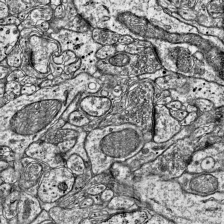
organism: Mouse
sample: Visual Cortex